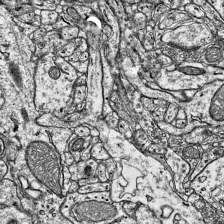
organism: Mouse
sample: Visual Cortex